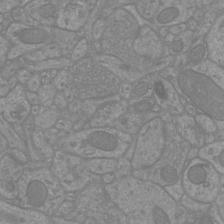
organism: Mouse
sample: Cortical neurons